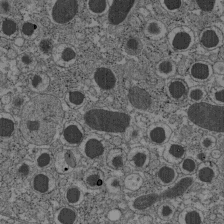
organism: C57BL Mouse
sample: Pancreatic islet